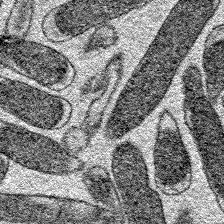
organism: E. coli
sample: E. Coli Bacteria